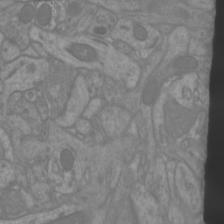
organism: Mouse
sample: Cortical neurons